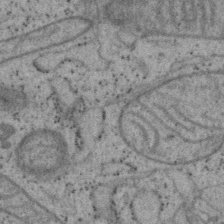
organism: Human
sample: HeLa cells